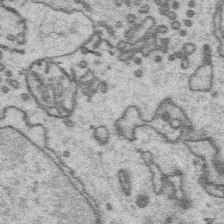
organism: Platynereis dumerilii